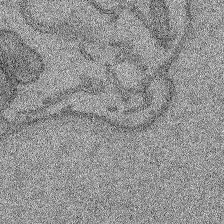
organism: Human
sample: HeLa cells